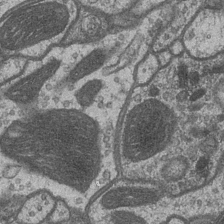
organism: Drosophila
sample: Optic medulla